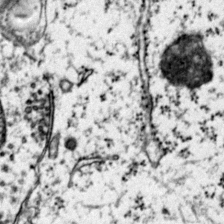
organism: Mouse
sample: Primary visual cortex